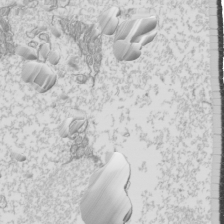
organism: Mouse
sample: Cilia; mouse epididymis